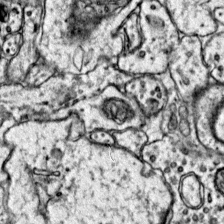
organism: Mouse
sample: Primary visual cortex